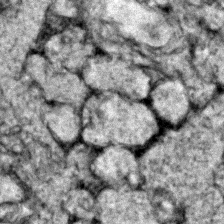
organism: Zebrafish